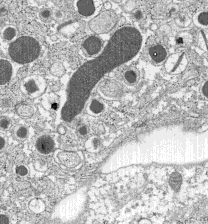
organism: C57BL Mouse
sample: Pancreatic islet